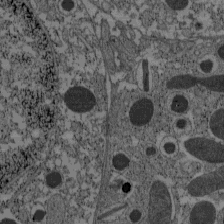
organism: C57BL Mouse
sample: Pancreatic islet